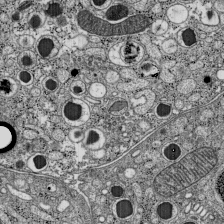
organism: C57BL Mouse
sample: Pancreatic islet